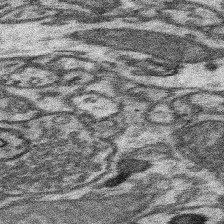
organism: Mouse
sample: Somatosensory cortex neuropil